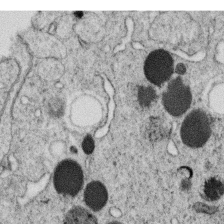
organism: C. elegans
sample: C. elegans oocyte; sperm cells